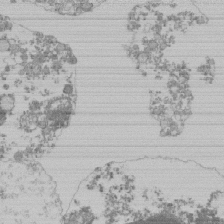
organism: Mouse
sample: Activated Pmel transgenic CD8+ T Cells